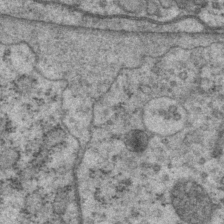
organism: P. pacificus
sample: Pharynx